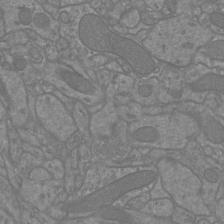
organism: Mouse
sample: Cortical neurons